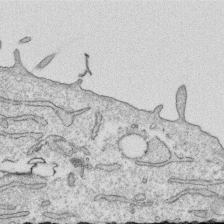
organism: Human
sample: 1205lu cells